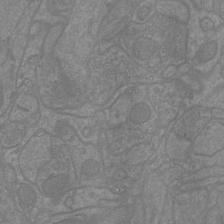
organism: Mouse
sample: Cortical neurons